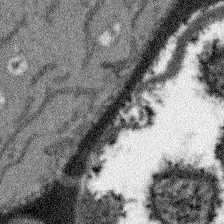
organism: Arabidopsis thaliana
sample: Root tip